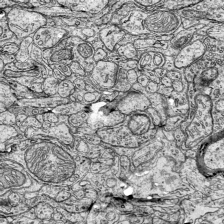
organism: Mouse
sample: Visual Cortex